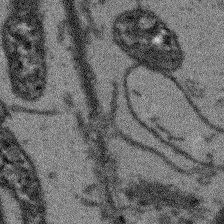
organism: Arabidopsis thaliana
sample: Root tip